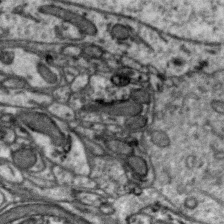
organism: Zebra finch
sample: Brain